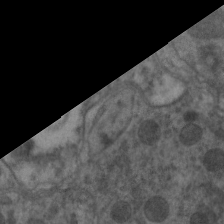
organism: C. elegans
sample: Pharynx